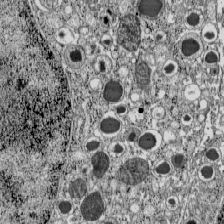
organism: C57BL Mouse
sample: Pancreatic islet